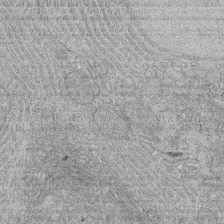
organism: Rat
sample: Salivary granule